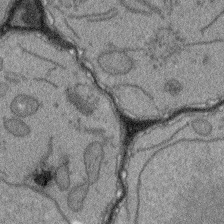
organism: Arabidopsis thaliana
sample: Root tip